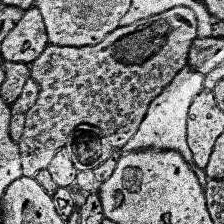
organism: Human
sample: Temporal Lobe